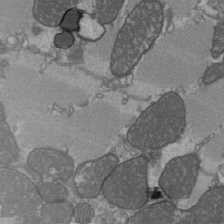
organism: C57BL Mouse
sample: Heart